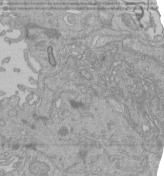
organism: Human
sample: Retinal organoid Rod and Cone cells